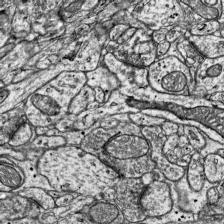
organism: Mouse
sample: Visual Cortex